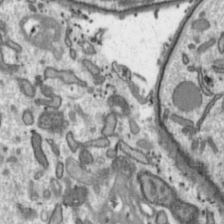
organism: Toxoplasma gondii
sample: Parasites in a vacuole inside a host cell